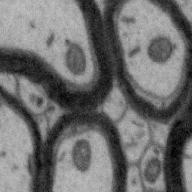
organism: Zebra finch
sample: Brain